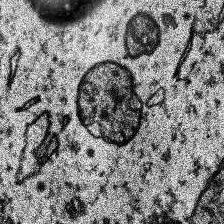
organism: Human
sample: Temporal Lobe